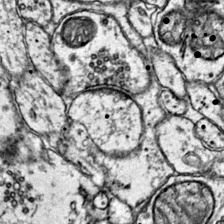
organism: Mouse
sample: Primary visual cortex